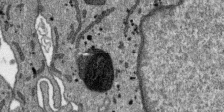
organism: Human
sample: Lung epithelial cells, uninfected (mock) control